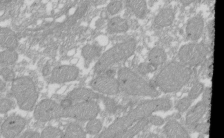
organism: Xenopus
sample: Cilia; centrioles in frog embryo cells